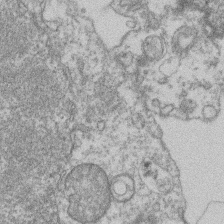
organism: Mouse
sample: T cell stromal cell synapse